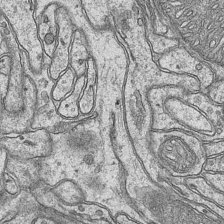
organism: Mouse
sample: CA1 Hippocampus